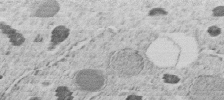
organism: C. elegans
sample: C. elegans embryo early stage